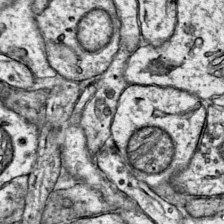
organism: Mouse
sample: Primary visual cortex